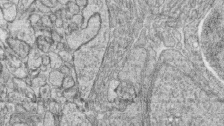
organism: Zebrafish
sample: synaptic ribbons in rod cells and cone cells